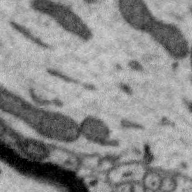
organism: Zebra finch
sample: Brain